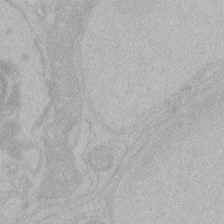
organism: Zebrafish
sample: Macrophage infected with Toxoplasma gondii